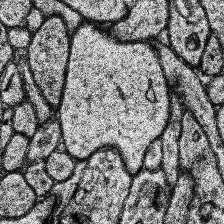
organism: Human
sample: Temporal Lobe